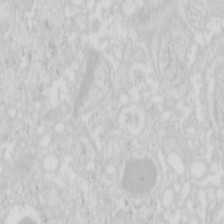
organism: Mouse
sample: Pancreas